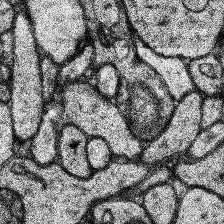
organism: Human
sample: Temporal Lobe